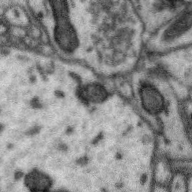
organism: Zebra finch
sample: Brain